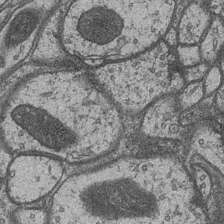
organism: Drosophila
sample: Optic medulla